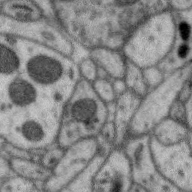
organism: Zebra finch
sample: Brain